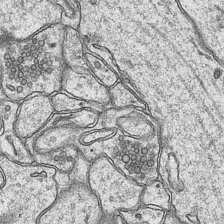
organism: Mouse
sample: CA1 Hippocampus